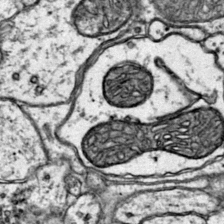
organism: Mouse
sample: Primary visual cortex